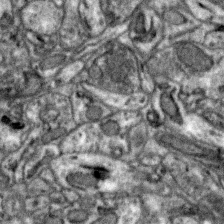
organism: Zebra finch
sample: Brain